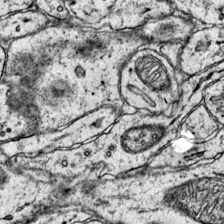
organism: Mouse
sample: Primary visual cortex